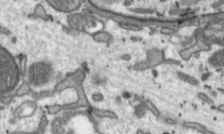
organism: Toxoplasma gondii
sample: Parasites in a vacuole inside a host cell